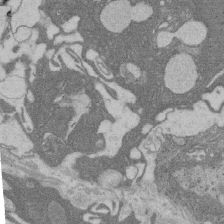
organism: Rat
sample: Salivary granule